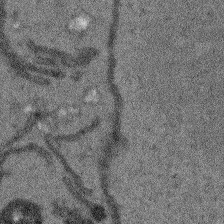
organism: Arabidopsis thaliana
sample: Root tip